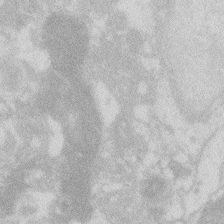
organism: Zebrafish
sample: Macrophage